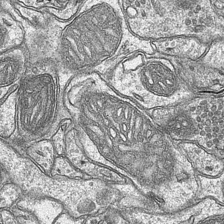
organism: Mouse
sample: CA1 Hippocampus